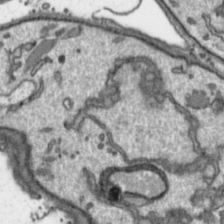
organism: Toxoplasma gondii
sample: Parasites in a vacuole inside a host cell